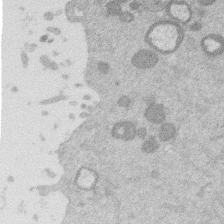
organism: Mouse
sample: Dividing mouse embryo 1 cell stage